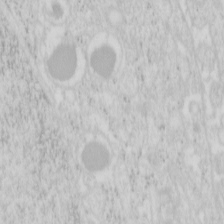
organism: Mouse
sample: Pancreas